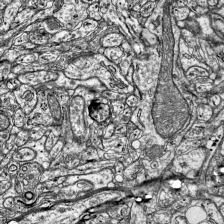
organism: Mouse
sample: Visual Cortex